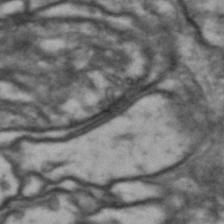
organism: Drosophila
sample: Brain